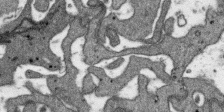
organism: Human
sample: Lung epithelial cells, uninfected (mock) control